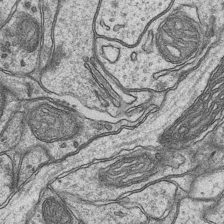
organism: Mouse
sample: CA1 Hippocampus